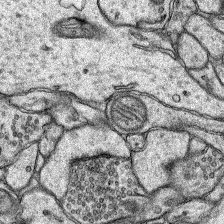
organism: Rat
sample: Hippocampus